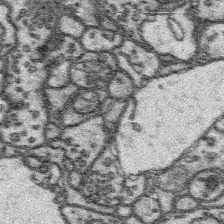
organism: Platynereis dumerilii